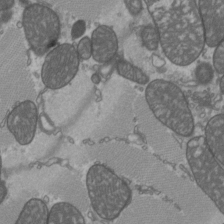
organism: C57BL Mouse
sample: Heart